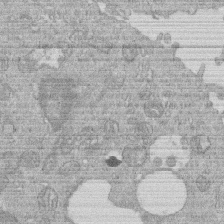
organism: Human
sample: Macrophage cells